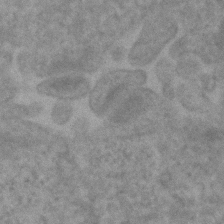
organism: Human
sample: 1205lu cells